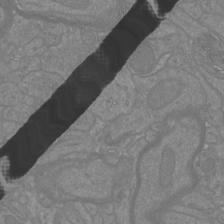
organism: Mouse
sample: Cortical neurons